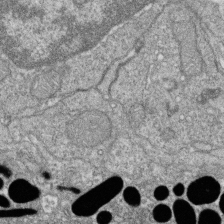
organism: Zebrafish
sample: Cilia; retinal pigment epithelium